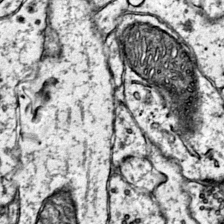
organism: Mouse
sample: Primary visual cortex